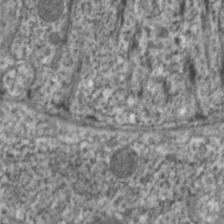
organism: C. elegans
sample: Pharynx